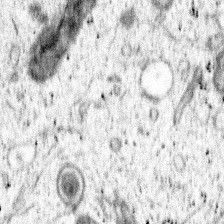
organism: Human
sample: HeLa cells